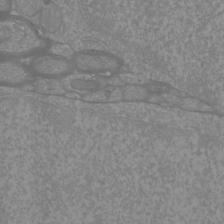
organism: Mouse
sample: Cortical neurons